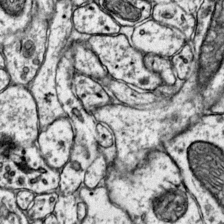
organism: Mouse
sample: Primary visual cortex